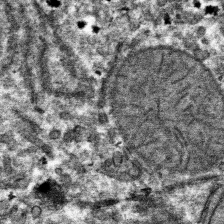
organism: Mouse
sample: Mouse hepatocytes